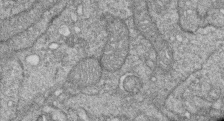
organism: Zebrafish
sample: Cilia; retinal pigment epithelium